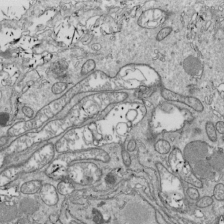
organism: Drosophila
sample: Cell division; meiosis; drosophila spermatocytes